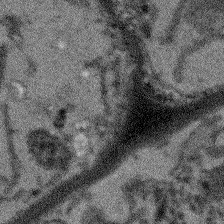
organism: Arabidopsis thaliana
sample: Root tip